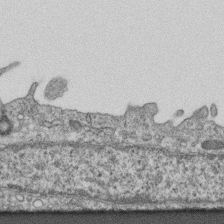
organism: Mouse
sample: Centriole in ependymal cells